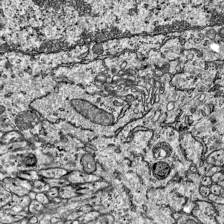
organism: Mouse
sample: Visual Cortex